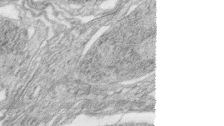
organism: Zebrafish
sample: synaptic ribbons in rod cells and cone cells